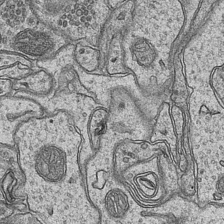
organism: Mouse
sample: CA1 Hippocampus